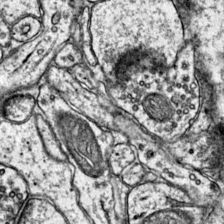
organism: Mouse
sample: Primary visual cortex